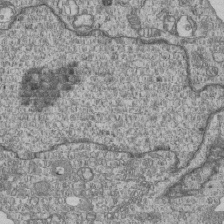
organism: Human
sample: MDA-MB-231 cells